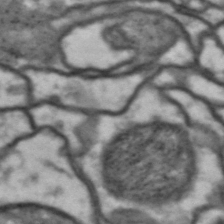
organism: Drosophila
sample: Brain